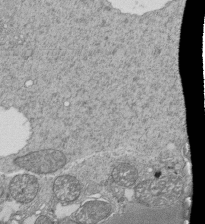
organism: Tetrahymena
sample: Cilia in tetrahymena